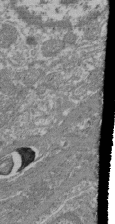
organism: Mouse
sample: Glomerulus